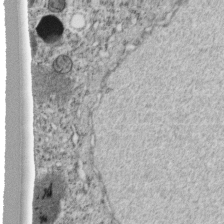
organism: C. elegans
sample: C. elegans embryo early stage